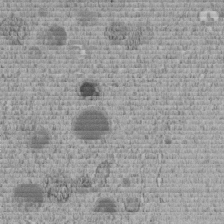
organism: C. elegans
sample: C. elegans embryo early stage